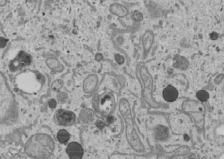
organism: Human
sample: Mitochondria in U2OS cells